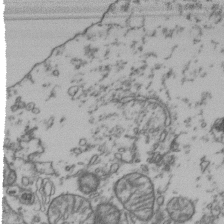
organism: Human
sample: Activated Jurkat CD4+ T cells